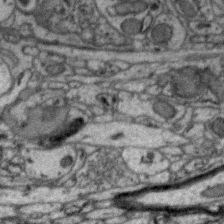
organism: Zebra finch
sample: Brain